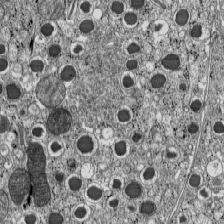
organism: C57BL Mouse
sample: Pancreatic islet